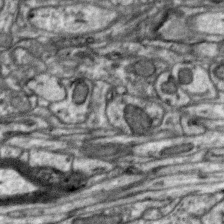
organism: Zebra finch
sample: Brain